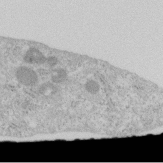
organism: Human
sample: Centriole in RPE cells